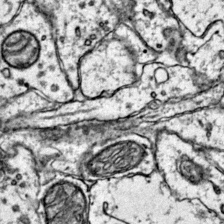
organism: Mouse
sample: Primary visual cortex